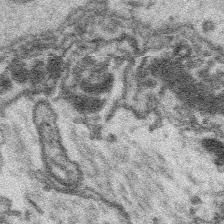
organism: Platynereis dumerilii